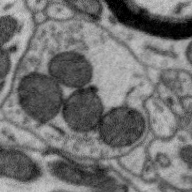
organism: Zebra finch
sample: Brain